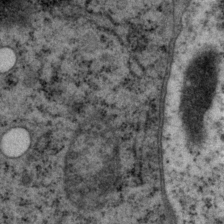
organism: P. pacificus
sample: Pharynx